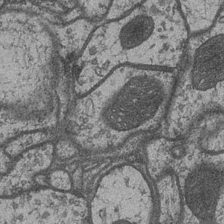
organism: Drosophila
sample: Optic medulla